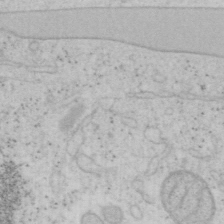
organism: Human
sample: HeLa cells